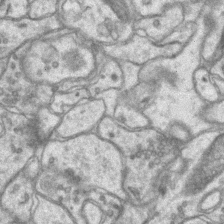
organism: Mouse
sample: CA1 Hippocampus